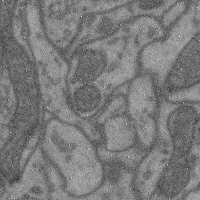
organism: Mouse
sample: Cerebral cortex